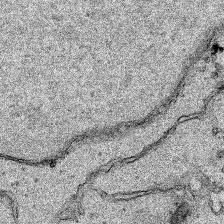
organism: Human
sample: Mitochondria in HCT116 cells